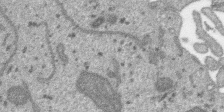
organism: Human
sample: Lung epithelial cells infected with SARS-CoV-2